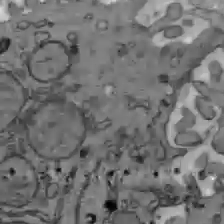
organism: C57BL Mouse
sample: Liver